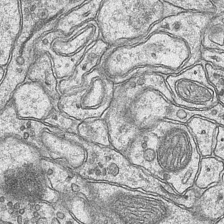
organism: Mouse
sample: CA1 Hippocampus